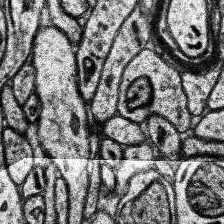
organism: Human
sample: Temporal Lobe